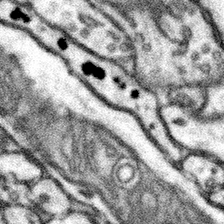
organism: Mouse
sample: Somatosensory cortex neuropil